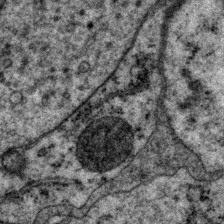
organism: P. pacificus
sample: Pharynx